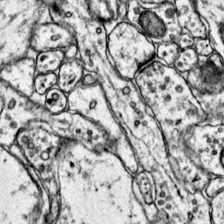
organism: Mouse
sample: Primary visual cortex